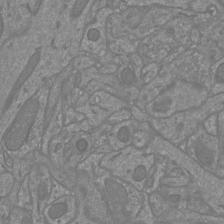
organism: Mouse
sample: Cortical neurons